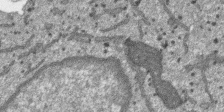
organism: Human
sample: Lung epithelial cells infected with SARS-CoV-2